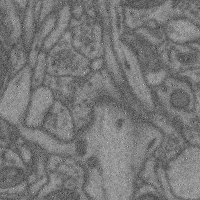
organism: Mouse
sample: Cerebral cortex